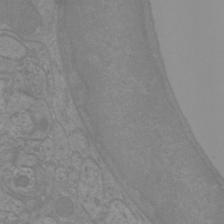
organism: Mouse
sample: Cortical neurons